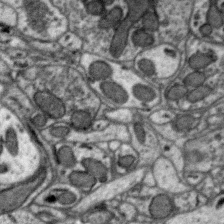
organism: Zebra finch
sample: Brain